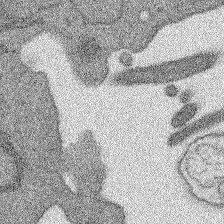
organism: Human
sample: HeLa cells